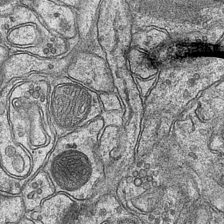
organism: Mouse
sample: CA1 Hippocampus